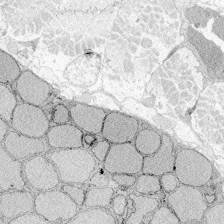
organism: Zebrafish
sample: Whole-Brain